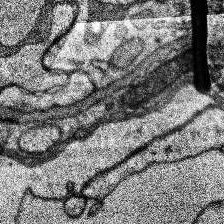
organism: Human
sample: Temporal Lobe